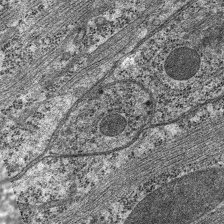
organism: C. elegans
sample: Pharynx